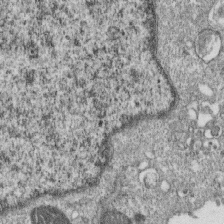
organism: African green monkey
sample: Vero E6 cells infected with SARS-CoV-2